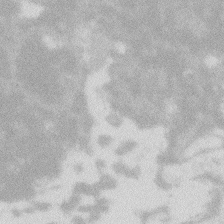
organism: Zebrafish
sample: Macrophage